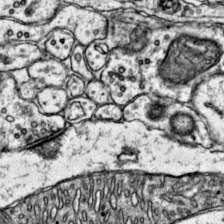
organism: Mouse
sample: Primary visual cortex